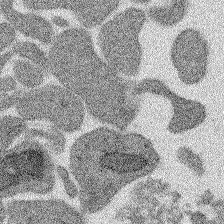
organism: Human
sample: HeLa cells